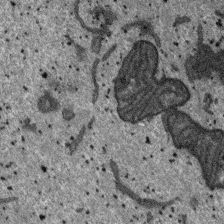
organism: Human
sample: Lung epithelial cells, uninfected (mock) control